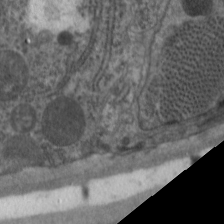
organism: C. elegans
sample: Pharynx